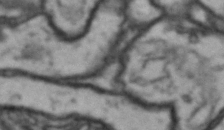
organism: Drosophila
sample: Brain